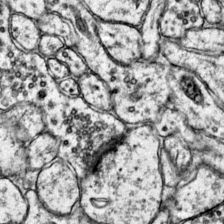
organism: Mouse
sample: Primary visual cortex